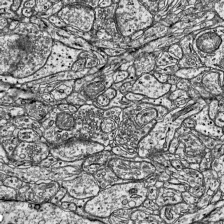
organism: Mouse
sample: Visual Cortex